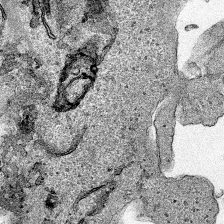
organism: Human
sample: Mitochondria in HCT116 cells